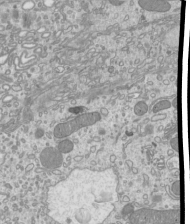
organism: Mouse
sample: Cilia; mouse epididymis